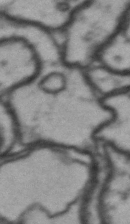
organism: Drosophila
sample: Brain